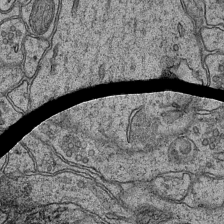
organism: Mouse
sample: CA1 Hippocampus